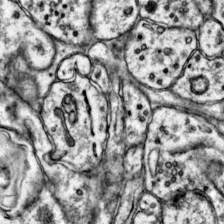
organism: Mouse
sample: Primary visual cortex